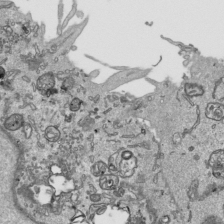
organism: Human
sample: Mitochondria in HCT116 cells